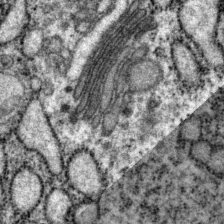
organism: P. pacificus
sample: Pharynx